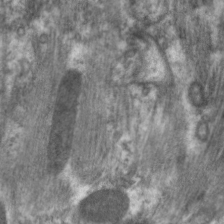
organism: C. elegans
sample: Pharynx